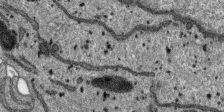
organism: Human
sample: Lung epithelial cells, uninfected (mock) control